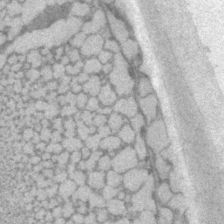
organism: P. pacificus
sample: Pharynx